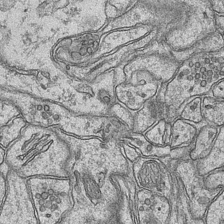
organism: Mouse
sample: CA1 Hippocampus